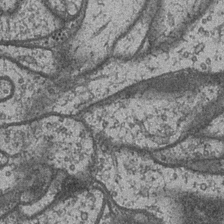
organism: Drosophila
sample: Optic medulla